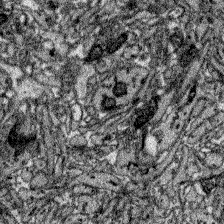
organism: Zebrafish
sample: Larval olfactory bulb